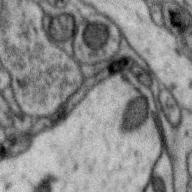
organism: Zebra finch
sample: Brain